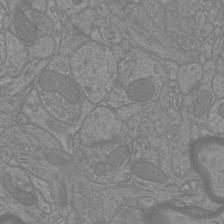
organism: Mouse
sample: Cortical neurons